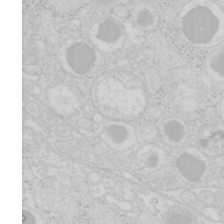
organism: Mouse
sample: Pancreas